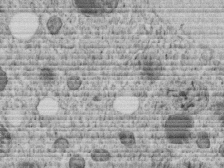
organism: C. elegans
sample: C. elegans embryo early stage